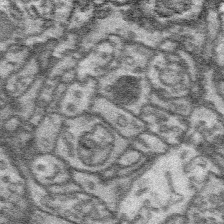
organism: Platynereis dumerilii